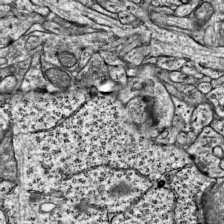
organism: Mouse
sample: Visual Cortex